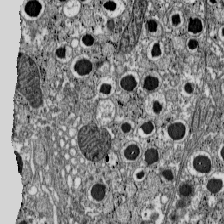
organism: C57BL Mouse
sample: Pancreatic islet